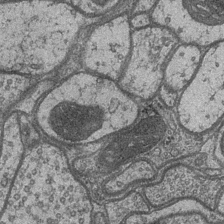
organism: Drosophila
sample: Optic medulla